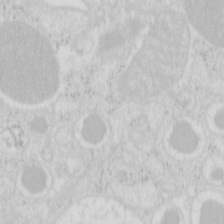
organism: Mouse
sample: Pancreas